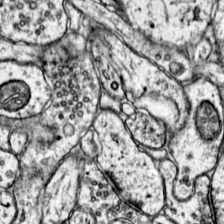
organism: Mouse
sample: Primary visual cortex